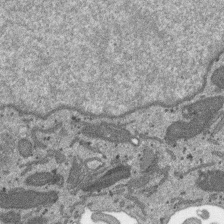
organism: Human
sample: Lung epithelial cells infected with SARS-CoV-2